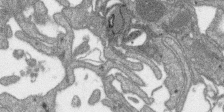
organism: Human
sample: Lung epithelial cells infected with SARS-CoV-2